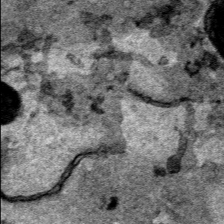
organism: Human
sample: Mitochondria in HCT116 cells